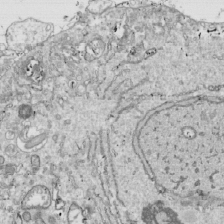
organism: Drosophila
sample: Cell division; meiosis; drosophila spermatocytes